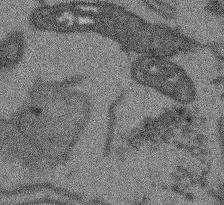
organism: Arabidopsis thaliana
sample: Root tip